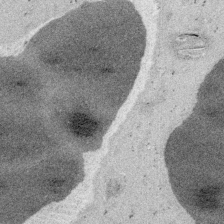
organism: Embia sp.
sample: Silk gland